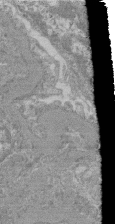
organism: Mouse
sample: Glomerulus